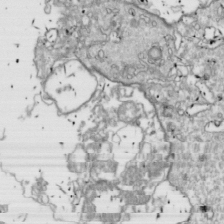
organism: Drosophila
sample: Cell division; meiosis; drosophila spermatocytes